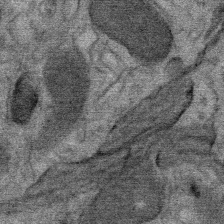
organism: Mouse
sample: Mouse Salivary gland